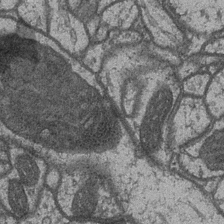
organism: Drosophila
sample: Optic medulla